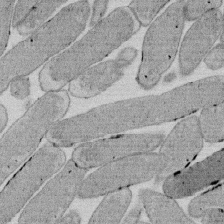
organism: E. coli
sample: Bacterial nucleoid